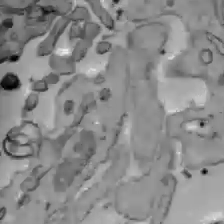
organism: C57BL Mouse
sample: Liver